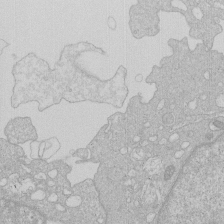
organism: Human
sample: Macrophage cells